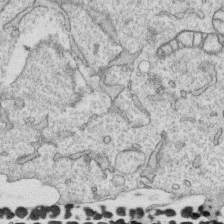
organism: Human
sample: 1205lu cells